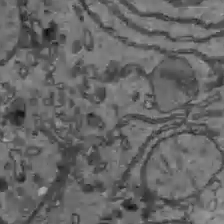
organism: C57BL Mouse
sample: Liver